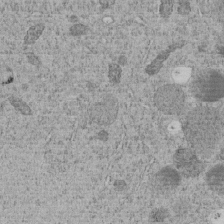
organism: C. elegans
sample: C. elegans embryo early stage